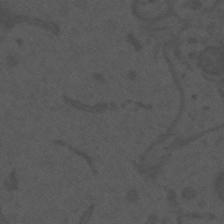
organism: Mouse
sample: Suprachiasmatic nucleus